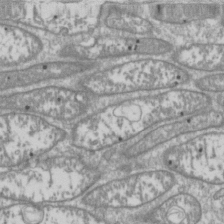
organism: Drosophila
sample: Cell division; meiosis; drosophila spermatocytes